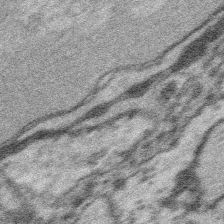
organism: Platynereis dumerilii